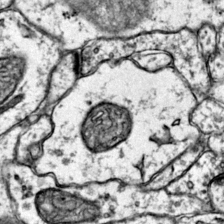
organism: Mouse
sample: Primary visual cortex